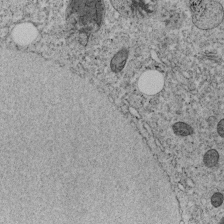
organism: C. elegans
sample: C. elegans embryo early stage